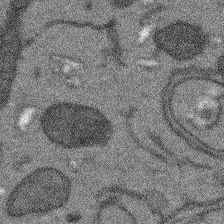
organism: Arabidopsis thaliana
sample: Root tip